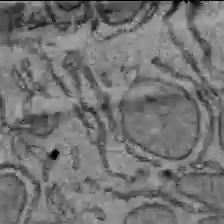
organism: C57BL Mouse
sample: Liver